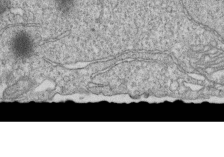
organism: Human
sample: HeLa cell HIV synapse